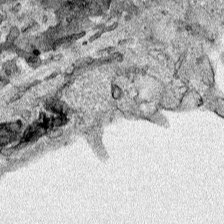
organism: Human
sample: Mitochondria in HCT116 cells